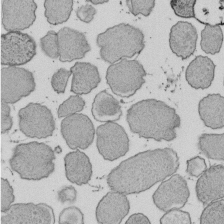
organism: E. coli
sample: Bacterial nucleoid